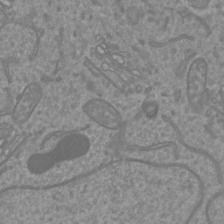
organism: Mouse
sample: Cortical neurons